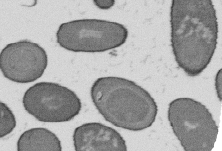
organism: B. subtilis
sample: Bacterial spore